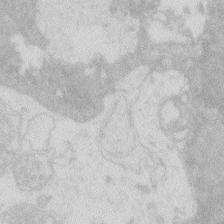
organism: Zebrafish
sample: Macrophage